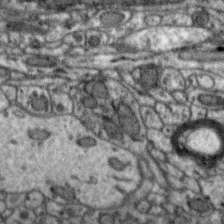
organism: Zebra finch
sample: Brain